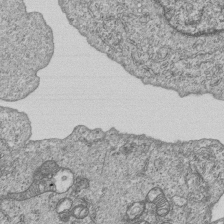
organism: Human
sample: MDA-MB-231 cells